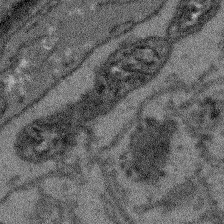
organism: Arabidopsis thaliana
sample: Root tip